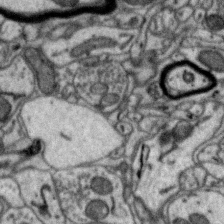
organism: Zebra finch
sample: Brain